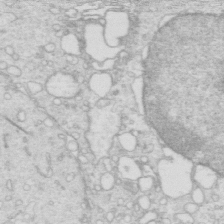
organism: Mouse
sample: Multiciliated cells